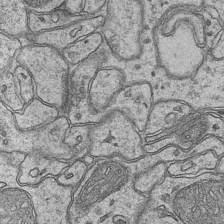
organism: Mouse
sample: CA1 Hippocampus